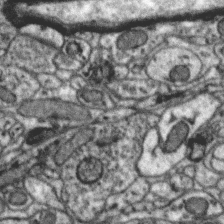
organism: Zebra finch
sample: Brain